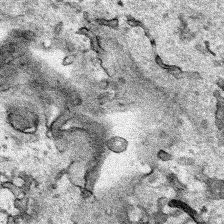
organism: Human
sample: Mitochondria in HCT116 cells